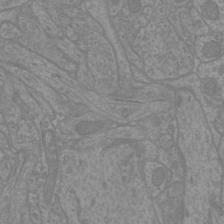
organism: Mouse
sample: Cortical neurons